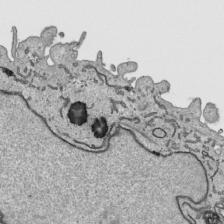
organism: Human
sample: Mitochondria in HCT116 cells